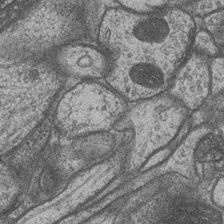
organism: Drosophila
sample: Optic medulla